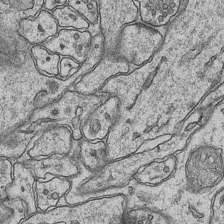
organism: Mouse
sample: CA1 Hippocampus